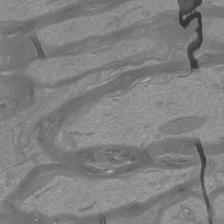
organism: Mouse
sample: Cortical neurons